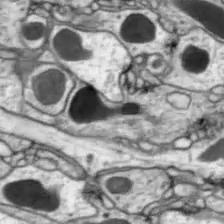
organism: Drosophila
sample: Optic lobe